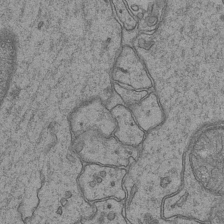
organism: Mouse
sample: CA1 Hippocampus